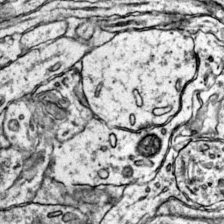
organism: Mouse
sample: Primary visual cortex